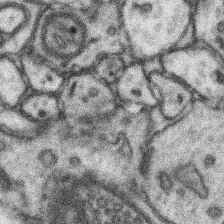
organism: Mouse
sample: Somatosensory cortex neuropil